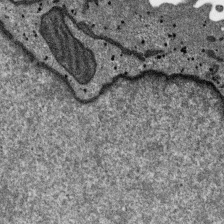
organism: Human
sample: Lung epithelial cells, uninfected (mock) control